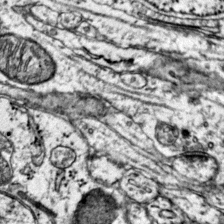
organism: Mouse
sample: Primary visual cortex